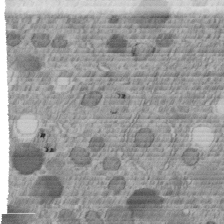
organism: C. elegans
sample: C. elegans embryo early stage